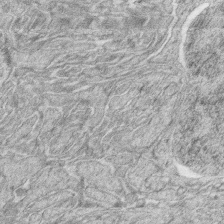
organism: Zebrafish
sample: synaptic ribbons in rod cells and cone cells